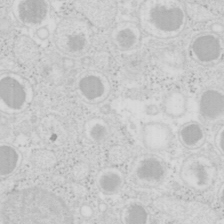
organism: Mouse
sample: Pancreas